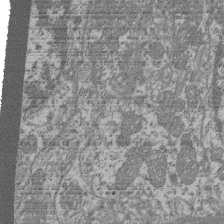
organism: Mouse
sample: Glomerulus